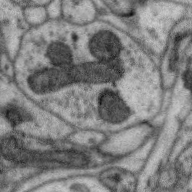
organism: Zebra finch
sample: Brain